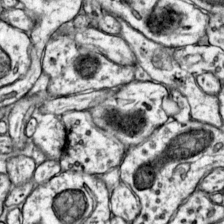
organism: Mouse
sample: Primary visual cortex